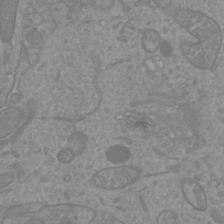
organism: Mouse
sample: Cortical neurons